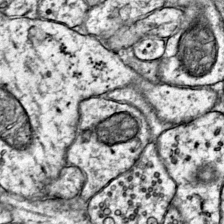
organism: Mouse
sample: Primary visual cortex